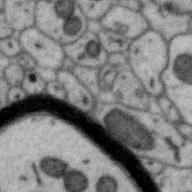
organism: Zebra finch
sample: Brain